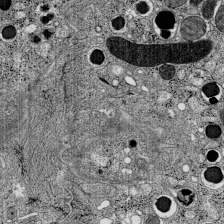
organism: C57BL Mouse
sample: Pancreatic islet